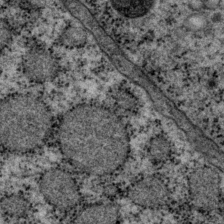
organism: P. pacificus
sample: Pharynx